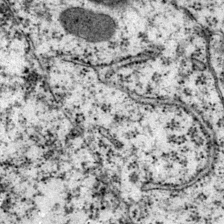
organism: Mouse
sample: Primary visual cortex